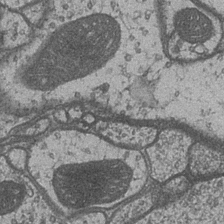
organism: Drosophila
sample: Optic medulla